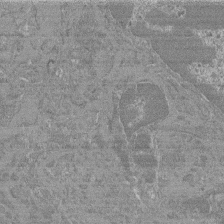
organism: Mouse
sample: Glomerulus